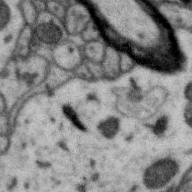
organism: Zebra finch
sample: Brain